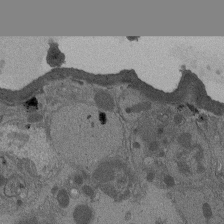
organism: Drosophila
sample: Antenna